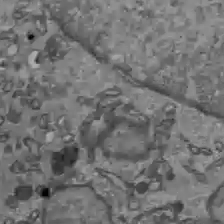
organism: C57BL Mouse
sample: Liver